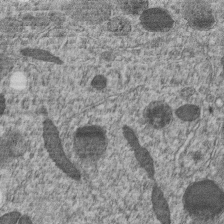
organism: C. elegans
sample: C. elegans embryo early stage